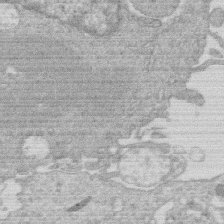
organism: Human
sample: Macrophage cells